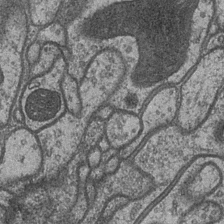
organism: Drosophila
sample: Optic medulla